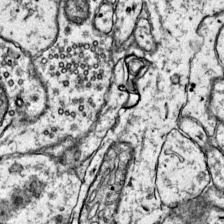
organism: Mouse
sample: Primary visual cortex